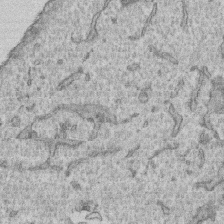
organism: Human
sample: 1205lu cells